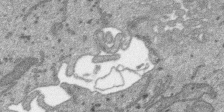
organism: Human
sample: Lung epithelial cells infected with SARS-CoV-2